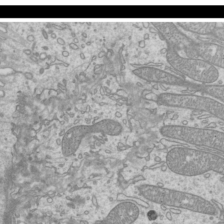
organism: Mouse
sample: Cilia; mouse epididymis